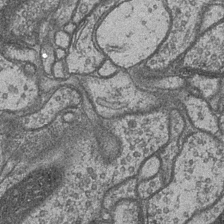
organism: Drosophila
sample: Optic medulla